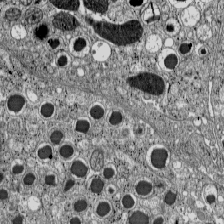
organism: C57BL Mouse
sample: Pancreatic islet